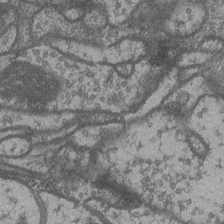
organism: Drosophila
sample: Optic medulla